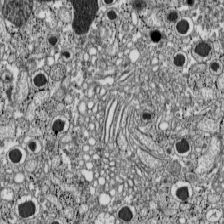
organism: C57BL Mouse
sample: Pancreatic islet